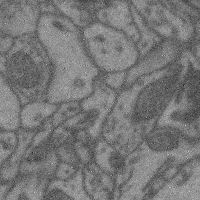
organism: Mouse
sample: Cerebral cortex